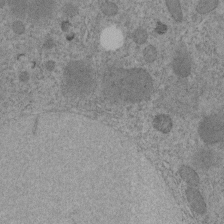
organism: C. elegans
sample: C. elegans embryo early stage